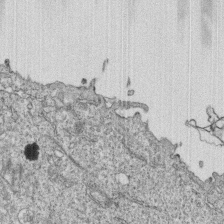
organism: Human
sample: HeLa cell HIV synapse